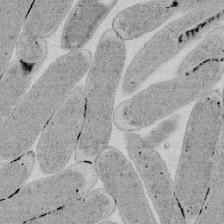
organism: E. coli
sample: Bacterial nucleoid